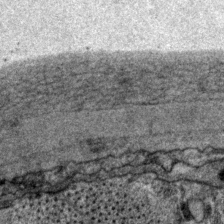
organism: P. pacificus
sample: Pharynx